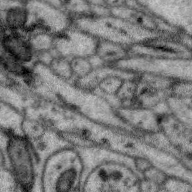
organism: Zebra finch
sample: Brain